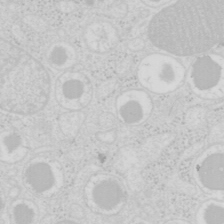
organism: Mouse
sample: Pancreas